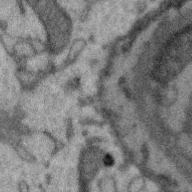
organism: Zebra finch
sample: Brain